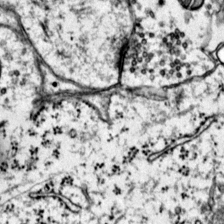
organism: Mouse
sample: Primary visual cortex